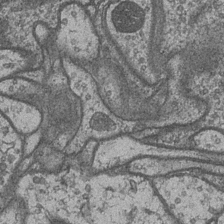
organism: Drosophila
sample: Optic medulla